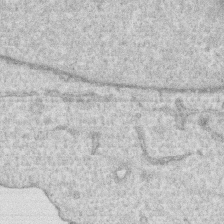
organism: Human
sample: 1205lu cells